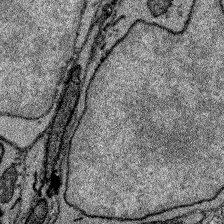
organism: Zebrafish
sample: Larval olfactory bulb